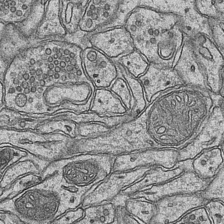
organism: Mouse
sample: CA1 Hippocampus